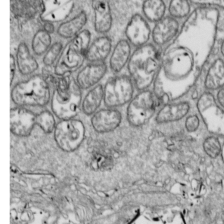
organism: Drosophila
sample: Cell division; meiosis; drosophila spermatocytes